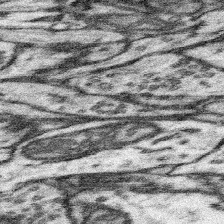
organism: Mouse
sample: Somatosensory cortex neuropil